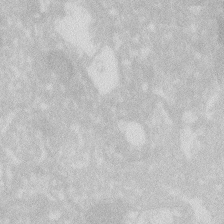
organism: Zebrafish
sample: Macrophage